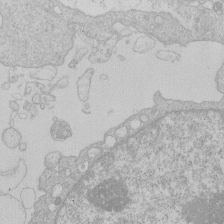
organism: Human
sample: Macrophage cells